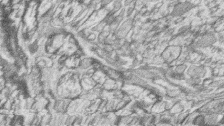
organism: Zebrafish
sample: synaptic ribbons in rod cells and cone cells